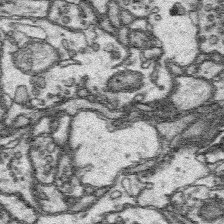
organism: Platynereis dumerilii